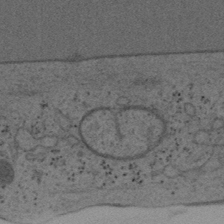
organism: Human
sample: HeLa cells